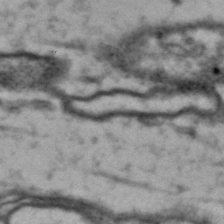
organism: Drosophila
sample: Brain